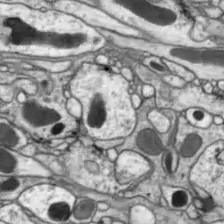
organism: Drosophila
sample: Optic lobe